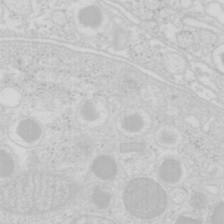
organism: Mouse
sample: Pancreas